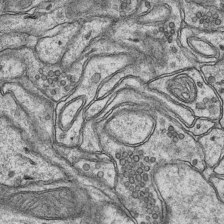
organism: Mouse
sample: CA1 Hippocampus